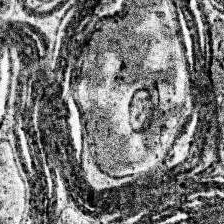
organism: Human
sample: Temporal Lobe